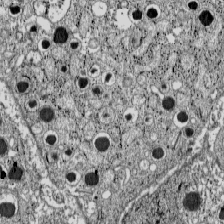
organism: C57BL Mouse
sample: Pancreatic islet